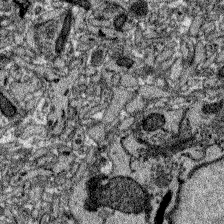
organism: Zebrafish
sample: Larval olfactory bulb